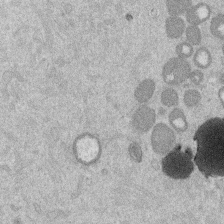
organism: Mouse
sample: Dividing mouse embryo 1 cell stage